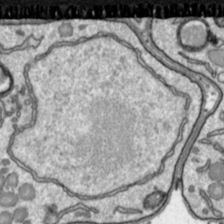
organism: Toxoplasma gondii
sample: Parasites in a vacuole inside a host cell